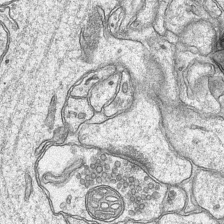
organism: Mouse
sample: CA1 Hippocampus